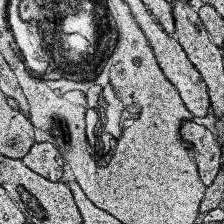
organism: Human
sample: Temporal Lobe